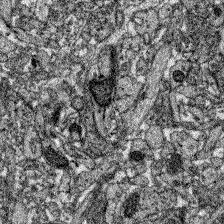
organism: Zebrafish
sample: Larval olfactory bulb